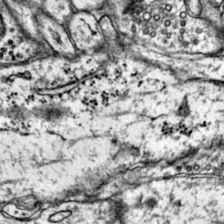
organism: Mouse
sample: Primary visual cortex